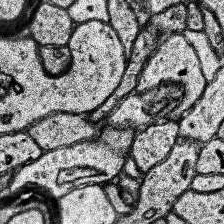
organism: Human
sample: Temporal Lobe